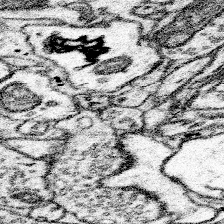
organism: Mouse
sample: Somatosensory cortex neuropil